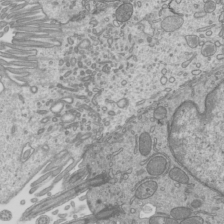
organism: Mouse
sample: Cilia; mouse epididymis